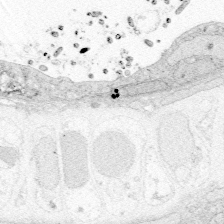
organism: Zebrafish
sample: Whole-Brain